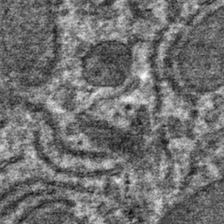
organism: Mouse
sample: Mouse hepatocytes